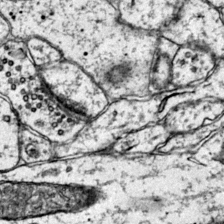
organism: Mouse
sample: Primary visual cortex